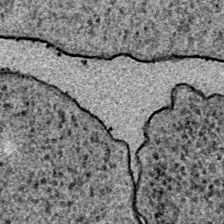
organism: E. coli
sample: E. Coli Bacteria